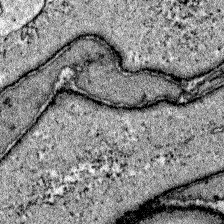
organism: Zebrafish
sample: Larval olfactory bulb